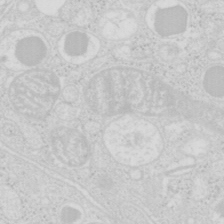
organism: Mouse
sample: Pancreas